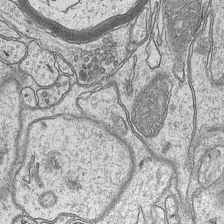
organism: Mouse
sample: CA1 Hippocampus